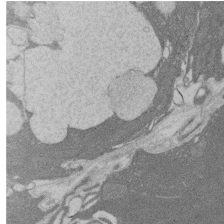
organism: Rat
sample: Salivary granule